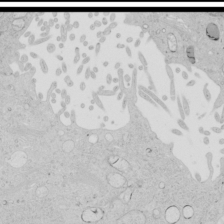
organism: Human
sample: Mitochondria in HCT116 cells